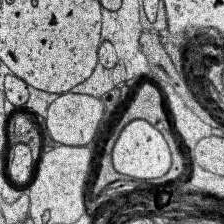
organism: Human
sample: Temporal Lobe